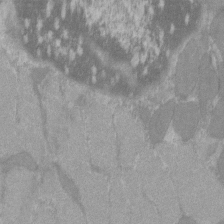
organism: C57BL Mouse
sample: Tibialis anterior muscle cell